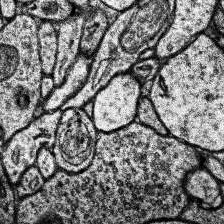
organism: Human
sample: Temporal Lobe